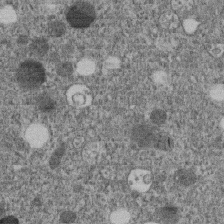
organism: C. elegans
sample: C. elegans embryo early stage